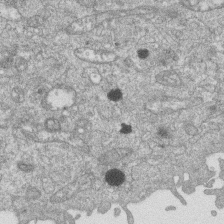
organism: Human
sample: HeLa cell HIV synapse